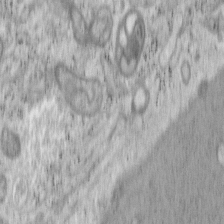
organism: Human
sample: HeLa cells